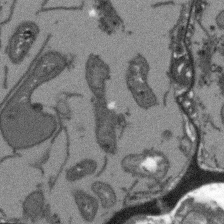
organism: Arabidopsis thaliana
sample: Root tip